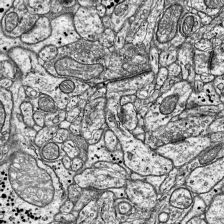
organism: Mouse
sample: Visual Cortex